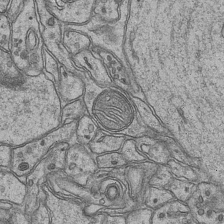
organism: Mouse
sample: CA1 Hippocampus